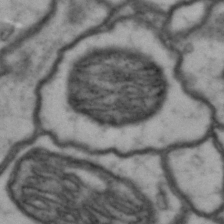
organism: Drosophila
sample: Brain